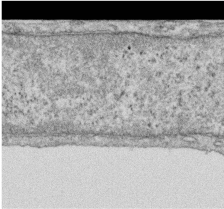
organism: Human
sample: Centriole in RPE cells